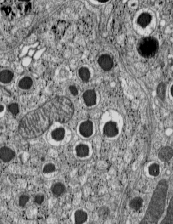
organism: C57BL Mouse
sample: Pancreatic islet